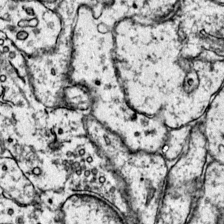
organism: Mouse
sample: Primary visual cortex